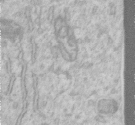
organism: Human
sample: Centriole in RPE cells